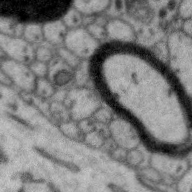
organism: Zebra finch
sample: Brain